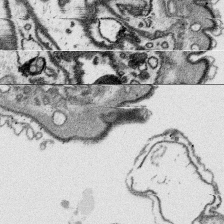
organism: Platynereis dumerilii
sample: Parapodia